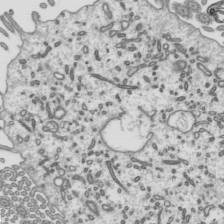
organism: Mouse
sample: Mouse epididymis efferent ductule cilia